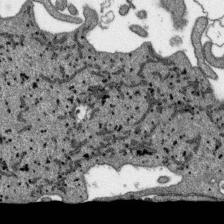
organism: Human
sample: Lung epithelial cells, uninfected (mock) control